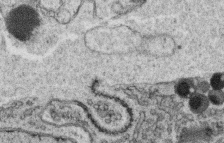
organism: C. elegans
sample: C. elegans oocyte; sperm cells